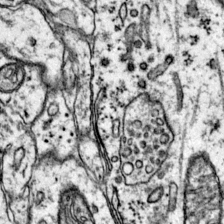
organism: Mouse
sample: Primary visual cortex